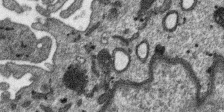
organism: Human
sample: Lung epithelial cells infected with SARS-CoV-2